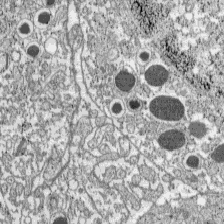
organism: C57BL Mouse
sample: Pancreatic islet